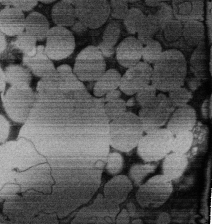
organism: Rat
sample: Salivary granule